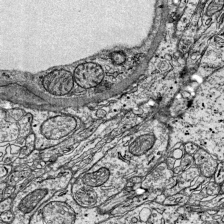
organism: Mouse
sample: Visual Cortex